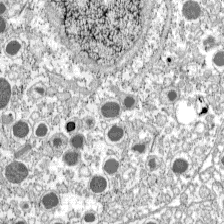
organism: C57BL Mouse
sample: Pancreatic islet